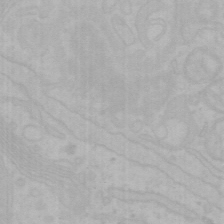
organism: Mouse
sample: Choroid plexus